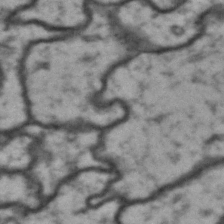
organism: Drosophila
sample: Brain